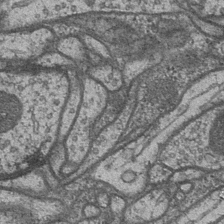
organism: Drosophila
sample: Optic medulla